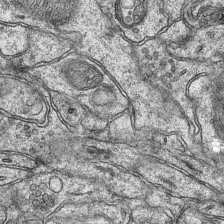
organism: Mouse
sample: CA1 Hippocampus